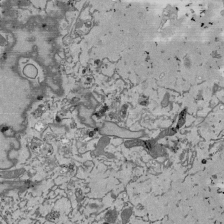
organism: Mouse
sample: ED-1 cell nuclei; centrioles